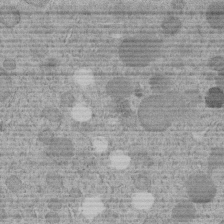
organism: C. elegans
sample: C. elegans embryo early stage